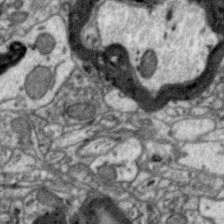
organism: Zebra finch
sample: Brain